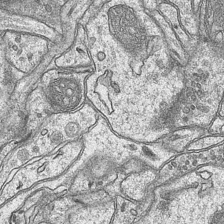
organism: Mouse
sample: CA1 Hippocampus